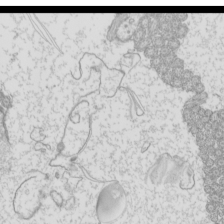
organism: Mouse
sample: Cilia; mouse epididymis